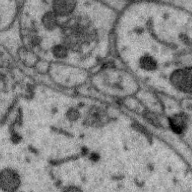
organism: Zebra finch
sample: Brain